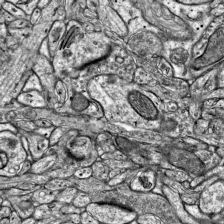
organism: Mouse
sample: Visual Cortex